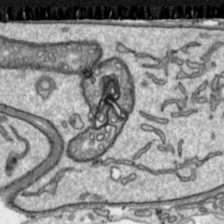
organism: Toxoplasma gondii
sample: Parasites in a vacuole inside a host cell